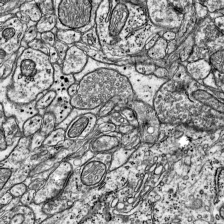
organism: Mouse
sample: Visual Cortex